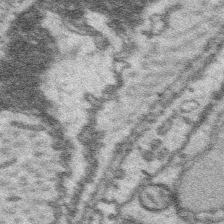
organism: Platynereis dumerilii